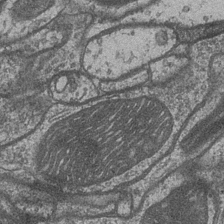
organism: Drosophila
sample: Optic medulla